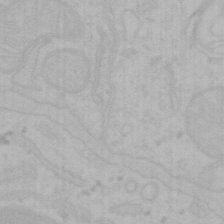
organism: Mouse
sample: Choroid plexus